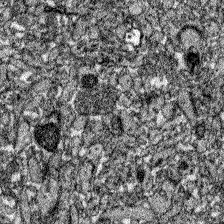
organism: Zebrafish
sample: Larval olfactory bulb